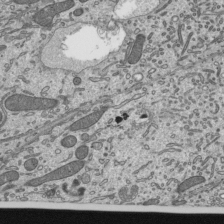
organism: Mouse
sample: Mouse epididymis efferent ductule cilia